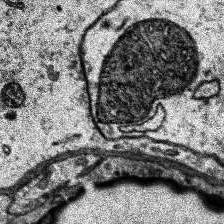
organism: Human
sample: Temporal Lobe